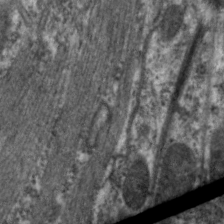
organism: C. elegans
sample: Pharynx